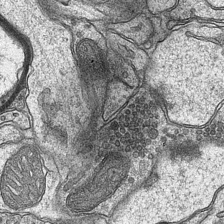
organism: Mouse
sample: CA1 Hippocampus